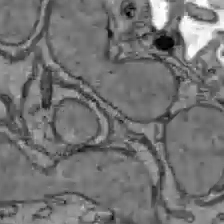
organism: C57BL Mouse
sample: Liver